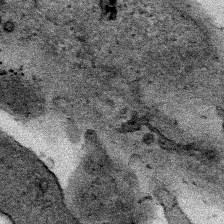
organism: Human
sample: Mitochondria in HCT116 cells